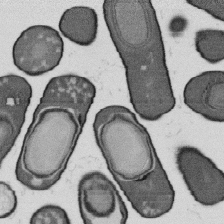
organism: B. subtilis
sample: Bacterial spore